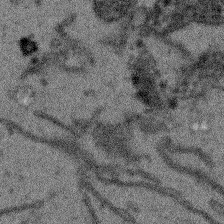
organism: Arabidopsis thaliana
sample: Root tip